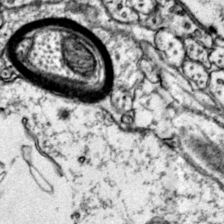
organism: Mouse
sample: Primary visual cortex